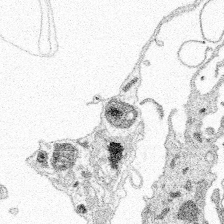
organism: Spongilla lacustris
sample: Multiple